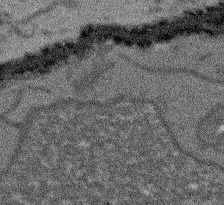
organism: Arabidopsis thaliana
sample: Root tip